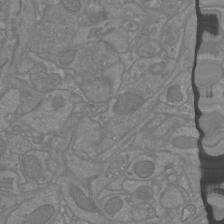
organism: Mouse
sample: Cortical neurons